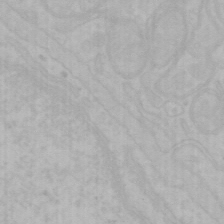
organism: Mouse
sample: Choroid plexus